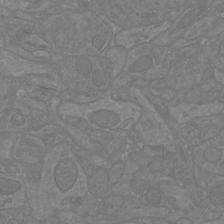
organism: Mouse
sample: Cortical neurons